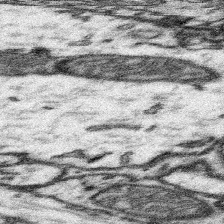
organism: Mouse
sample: Somatosensory cortex neuropil